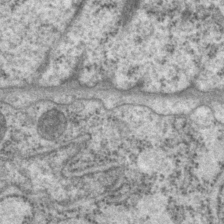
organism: P. pacificus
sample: Pharynx